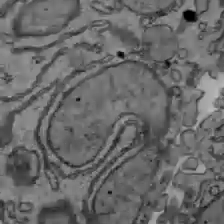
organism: C57BL Mouse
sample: Liver